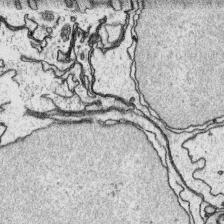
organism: Platynereis dumerilii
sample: Parapodia